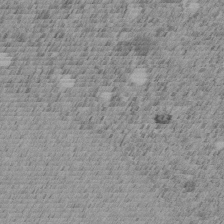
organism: C. elegans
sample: C. elegans embryo early stage